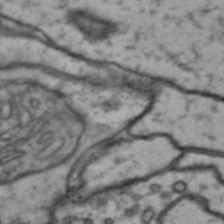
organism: Drosophila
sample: Brain